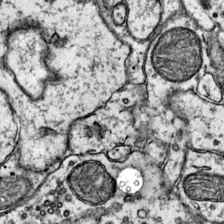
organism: Mouse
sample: Primary visual cortex